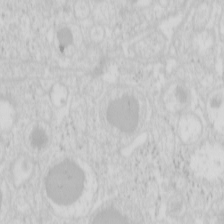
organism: Mouse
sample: Pancreas